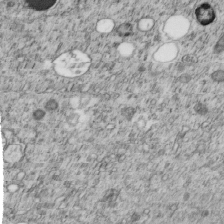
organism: C. elegans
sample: C. elegans embryo early stage